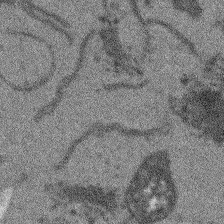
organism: Arabidopsis thaliana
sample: Root tip